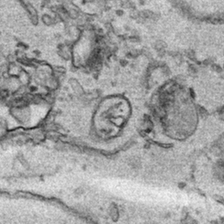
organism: Human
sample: Mitochondria in HCT116 cells